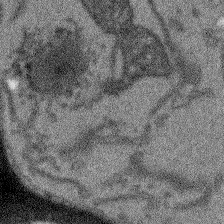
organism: Arabidopsis thaliana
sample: Root tip